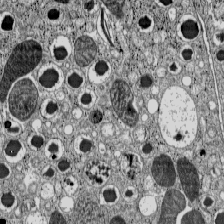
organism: C57BL Mouse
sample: Pancreatic islet